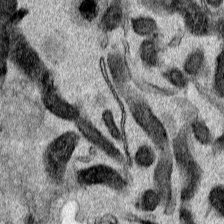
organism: Human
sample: Mitochondria in HCT116 cells